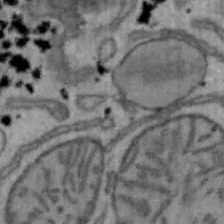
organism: Mouse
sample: Liver